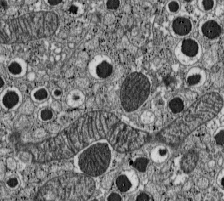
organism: C57BL Mouse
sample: Pancreatic islet